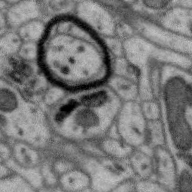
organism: Zebra finch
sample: Brain